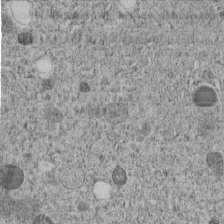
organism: C. elegans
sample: C. elegans embryo early stage